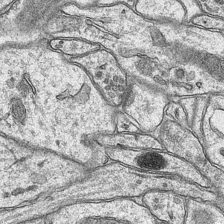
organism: Mouse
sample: CA1 Hippocampus